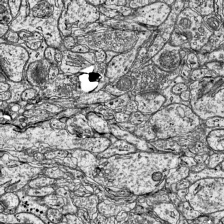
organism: Mouse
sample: Visual Cortex